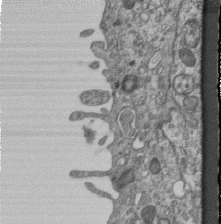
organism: Mouse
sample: Centriole in ependymal cells